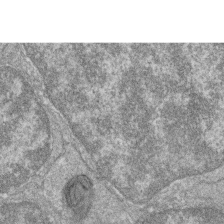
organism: Zebrafish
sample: Cilia; retinal pigment epithelium